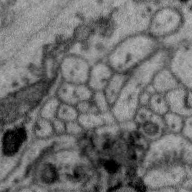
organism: Zebra finch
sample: Brain